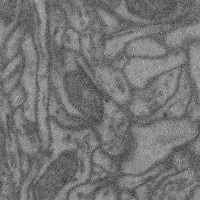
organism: Mouse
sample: Cerebral cortex